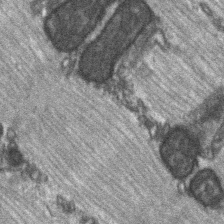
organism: C57BL Mouse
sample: Soleus